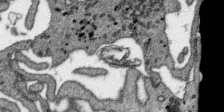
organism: Human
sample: Lung epithelial cells, uninfected (mock) control